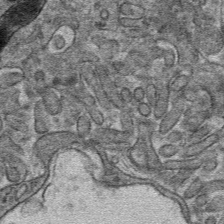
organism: Mouse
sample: Mouse hepatocytes